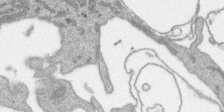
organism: Human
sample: Lung epithelial cells infected with SARS-CoV-2